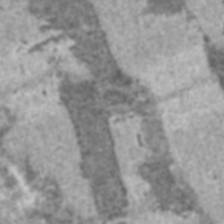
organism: C57BL Mouse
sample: Heart